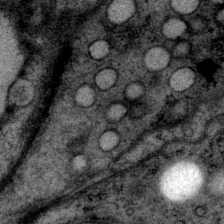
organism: P. pacificus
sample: Pharynx